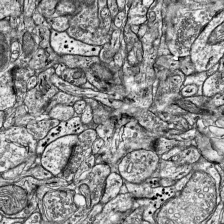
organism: Mouse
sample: Visual Cortex